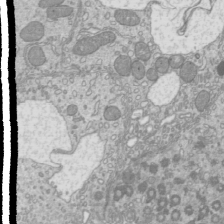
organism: Mouse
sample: Cilia; mouse epididymis